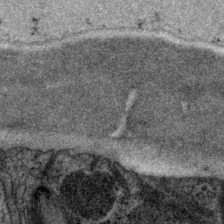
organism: P. pacificus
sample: Pharynx